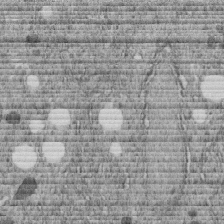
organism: C. elegans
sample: C. elegans embryo early stage